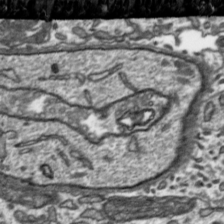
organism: Toxoplasma gondii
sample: Parasites in a vacuole inside a host cell